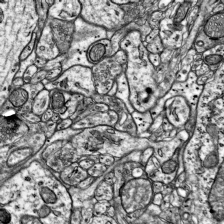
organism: Mouse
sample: Visual Cortex